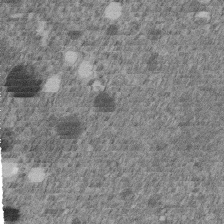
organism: C. elegans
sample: C. elegans embryo early stage